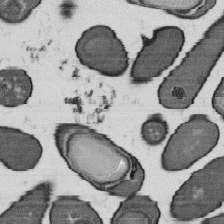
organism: B. subtilis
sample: Bacterial spore